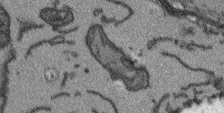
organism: Arabidopsis thaliana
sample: Root tip